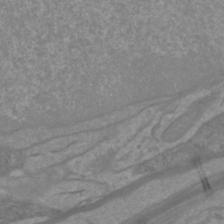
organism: Mouse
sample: Cortical neurons